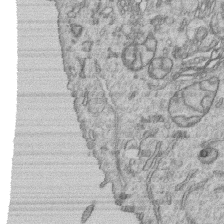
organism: Human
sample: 1205lu cells